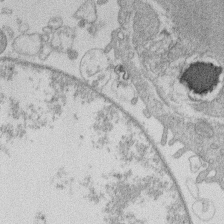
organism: Human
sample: Macrophage cells